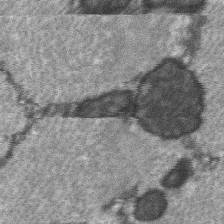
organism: C57BL Mouse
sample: Soleus